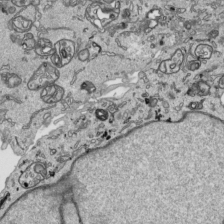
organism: Human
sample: Mitochondria in HCT116 cells